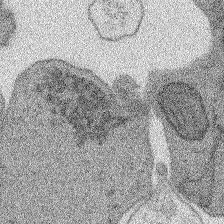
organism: Human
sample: HeLa cells